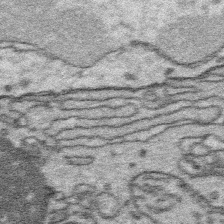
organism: Platynereis dumerilii